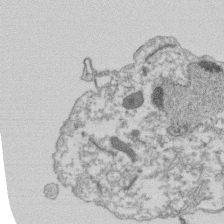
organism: Dictyostelium discoideum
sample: Dictyostelium multivesicular bodies